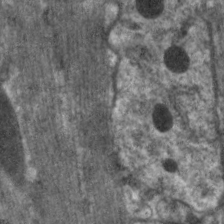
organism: C. elegans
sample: Pharynx